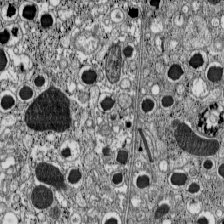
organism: C57BL Mouse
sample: Pancreatic islet